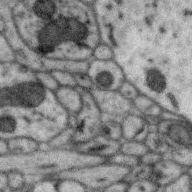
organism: Zebra finch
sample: Brain